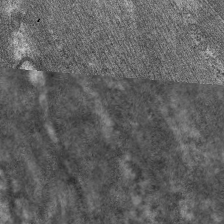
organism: C. elegans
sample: Pharynx